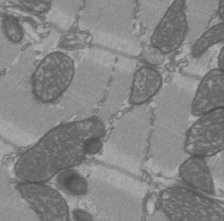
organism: C57BL Mouse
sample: Heart